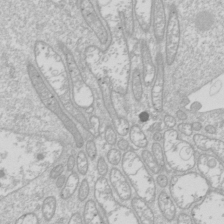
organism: Drosophila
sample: Cell division; meiosis; drosophila spermatocytes